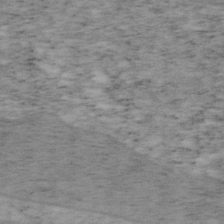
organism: Mouse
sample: OT-I killer T cells with ID8 ovarian cancer cells